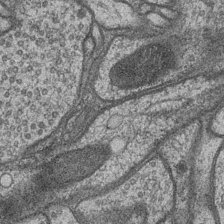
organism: Drosophila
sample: Optic medulla